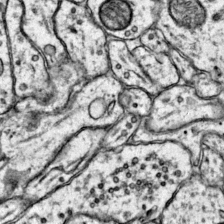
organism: Mouse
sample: Primary visual cortex